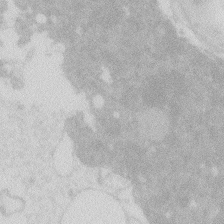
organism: Zebrafish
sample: Macrophage